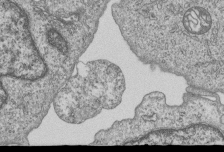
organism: Human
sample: MDA-MB-231 cells